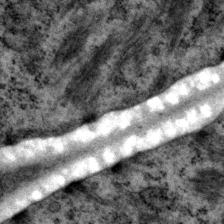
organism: P. pacificus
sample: Pharynx